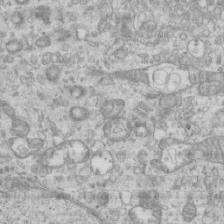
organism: Mouse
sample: Centriole in ependymal cells